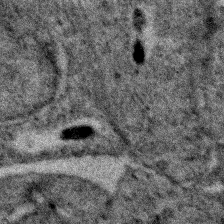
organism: Zebrafish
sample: Zebrafish embryo